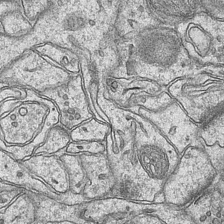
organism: Mouse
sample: CA1 Hippocampus